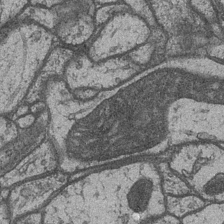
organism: Drosophila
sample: Optic medulla